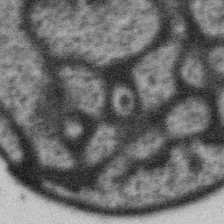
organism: Gemmata obscuriglobus